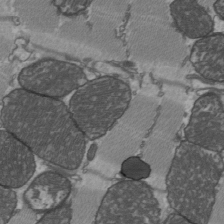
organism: C57BL Mouse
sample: Heart